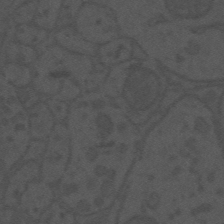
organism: Mouse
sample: Suprachiasmatic nucleus